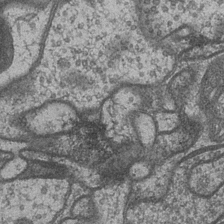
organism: Drosophila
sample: Optic medulla